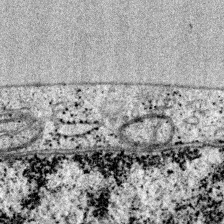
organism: Human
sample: HeLa cells